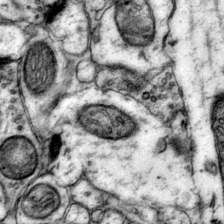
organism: Mouse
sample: Primary visual cortex